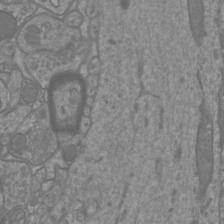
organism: Mouse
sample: Cortical neurons